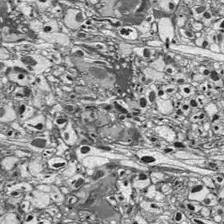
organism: Drosophila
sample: Optic lobe